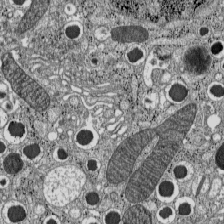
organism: C57BL Mouse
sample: Pancreatic islet